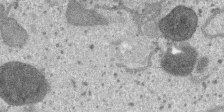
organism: Human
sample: Lung epithelial cells infected with SARS-CoV-2